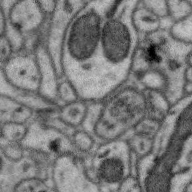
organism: Zebra finch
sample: Brain